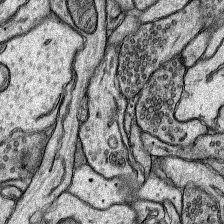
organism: Rat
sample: Hippocampus